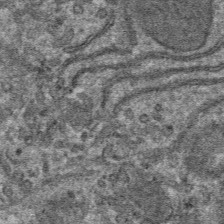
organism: Mouse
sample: Mouse hepatocytes